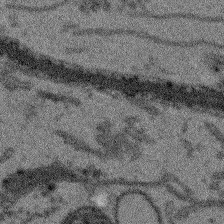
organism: Arabidopsis thaliana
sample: Root tip